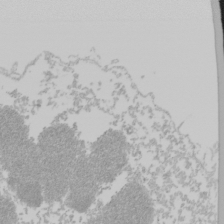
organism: Mouse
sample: Cancer cell death in ED-1 cells